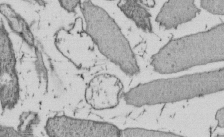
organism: E. coli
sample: Bacterial nucleoid